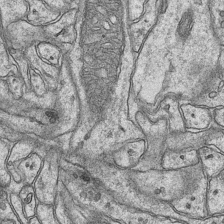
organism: Mouse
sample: CA1 Hippocampus